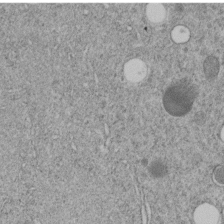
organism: C. elegans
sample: C. elegans embryo early stage